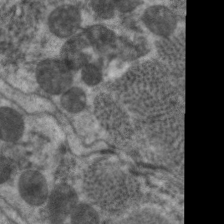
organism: C. elegans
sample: Pharynx